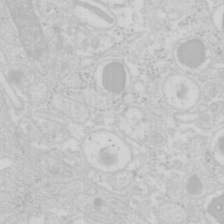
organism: Mouse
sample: Pancreas